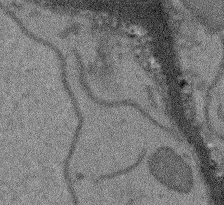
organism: Arabidopsis thaliana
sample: Root tip